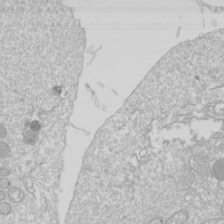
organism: Drosophila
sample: Cell division; meiosis; drosophila spermatocytes